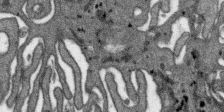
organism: Human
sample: Lung epithelial cells, uninfected (mock) control